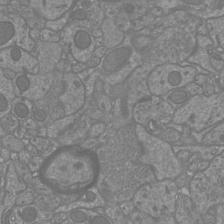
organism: Mouse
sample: Cortical neurons